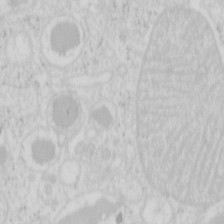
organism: Mouse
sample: Pancreas